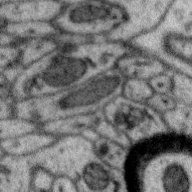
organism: Zebra finch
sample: Brain